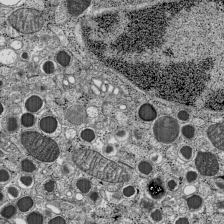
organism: C57BL Mouse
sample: Pancreatic islet